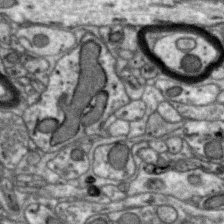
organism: Zebra finch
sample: Brain